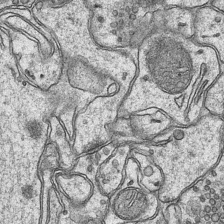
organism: Mouse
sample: CA1 Hippocampus